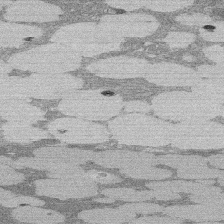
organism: Rat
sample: Salivary granule